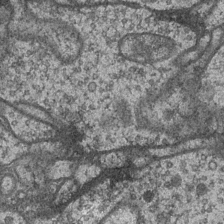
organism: Drosophila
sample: Optic medulla